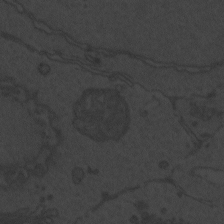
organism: Zebrafish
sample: Macrophage infected with Toxoplasma gondii